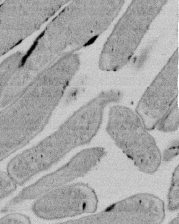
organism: E. coli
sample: Bacterial nucleoid